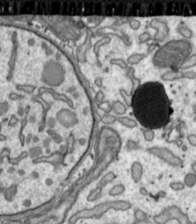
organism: Toxoplasma gondii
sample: Parasites in a vacuole inside a host cell